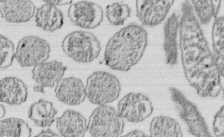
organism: E. coli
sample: Bacterial nucleoid